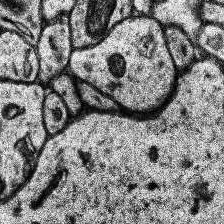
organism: Human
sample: Temporal Lobe